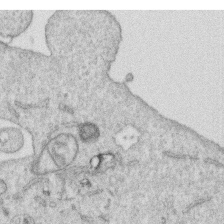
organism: Human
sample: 1205lu cells